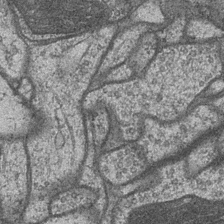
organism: Drosophila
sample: Optic medulla